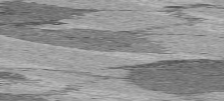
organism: C57BL Mouse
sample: Heart